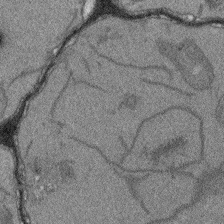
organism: Arabidopsis thaliana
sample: Root tip